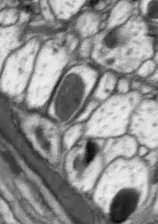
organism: Drosophila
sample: Optic lobe